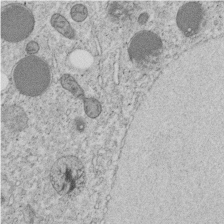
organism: C. elegans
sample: C. elegans embryo early stage